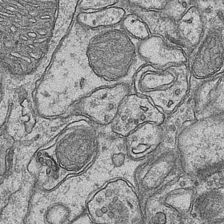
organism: Mouse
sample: CA1 Hippocampus